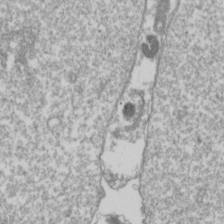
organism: Drosophila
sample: Cell division; meiosis; drosophila spermatocytes